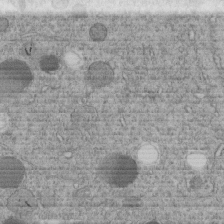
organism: C. elegans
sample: C. elegans embryo early stage